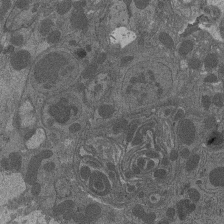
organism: Drosophila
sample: Antenna